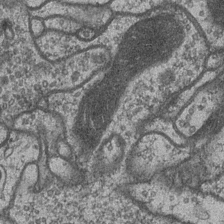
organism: Drosophila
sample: Optic medulla